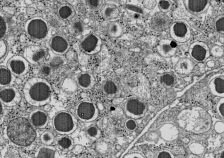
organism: C57BL Mouse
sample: Pancreatic islet